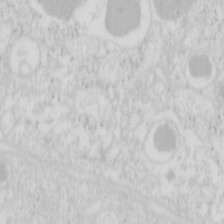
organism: Mouse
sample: Pancreas